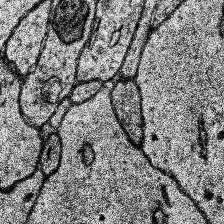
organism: Human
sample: Temporal Lobe